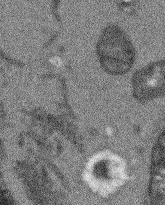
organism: Arabidopsis thaliana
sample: Root tip